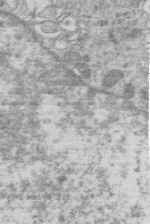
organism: Human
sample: Macrophage cells